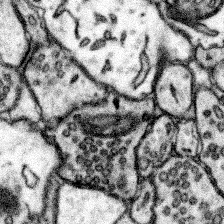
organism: Mouse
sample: Somatosensory cortex neuropil